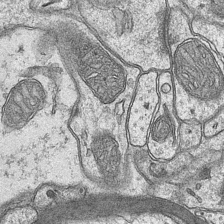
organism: Mouse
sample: CA1 Hippocampus